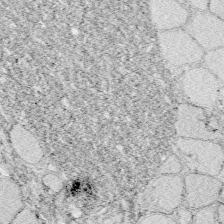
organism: Zebrafish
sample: Whole-Brain